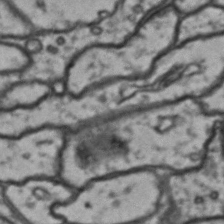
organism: Drosophila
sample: Brain